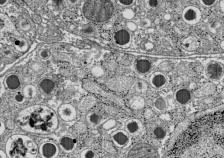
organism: C57BL Mouse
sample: Pancreatic islet